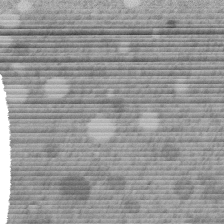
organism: C. elegans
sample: C. elegans embryo early stage